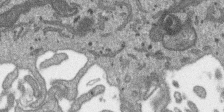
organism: Human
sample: Lung epithelial cells infected with SARS-CoV-2